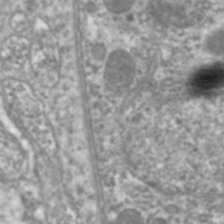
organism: C. elegans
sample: Pharynx